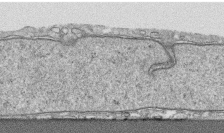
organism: Human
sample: CRL-1474